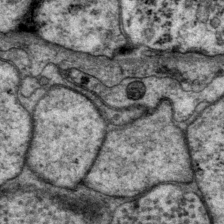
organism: P. pacificus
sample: Pharynx